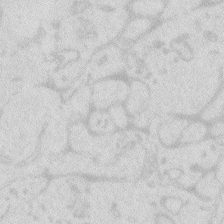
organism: Zebrafish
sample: Macrophage